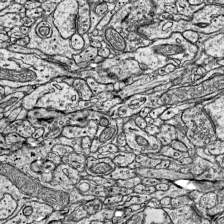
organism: Mouse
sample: Visual Cortex